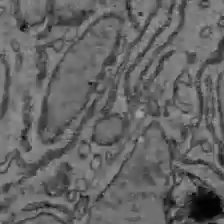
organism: C57BL Mouse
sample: Liver